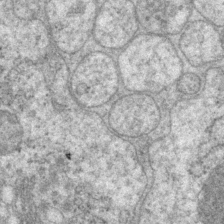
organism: P. pacificus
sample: Pharynx